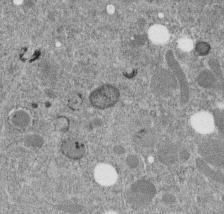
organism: C. elegans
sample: C. elegans embryo early stage